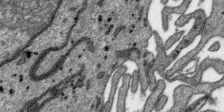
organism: Human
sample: Lung epithelial cells, uninfected (mock) control